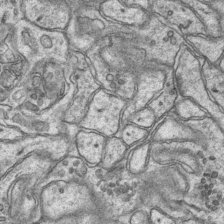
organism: Mouse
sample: CA1 Hippocampus